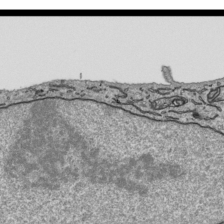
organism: Human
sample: Mitochondria in HCT116 cells